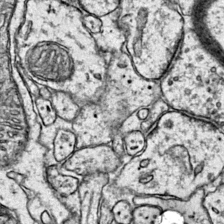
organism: Mouse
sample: Primary visual cortex